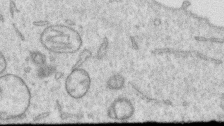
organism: Human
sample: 1205lu cells